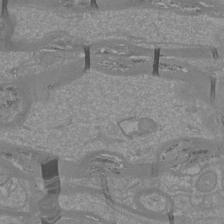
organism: Mouse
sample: Cortical neurons